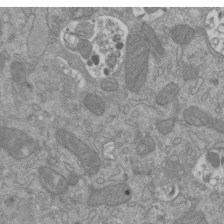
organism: Mouse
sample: ED-1 cell nuclei; centrioles